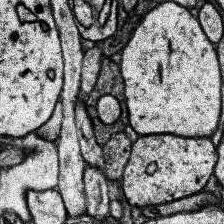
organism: Human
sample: Temporal Lobe